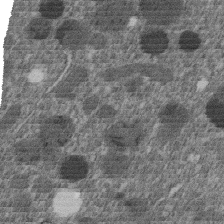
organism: C. elegans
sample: C. elegans embryo early stage